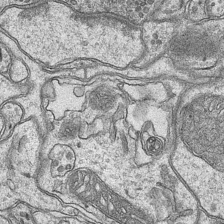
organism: Mouse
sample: CA1 Hippocampus